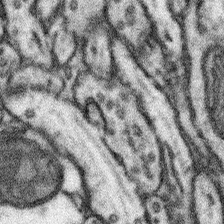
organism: Mouse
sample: Somatosensory cortex neuropil